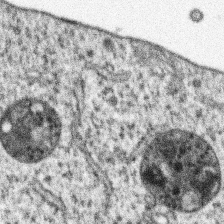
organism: Human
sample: HeLa cells